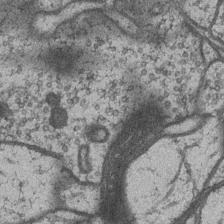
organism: Drosophila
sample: Optic medulla